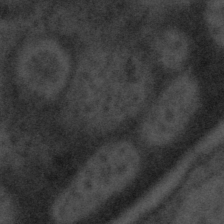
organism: Tuwongella immobilis